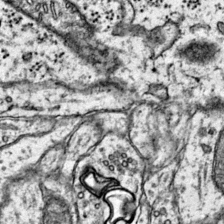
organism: Mouse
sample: Primary visual cortex